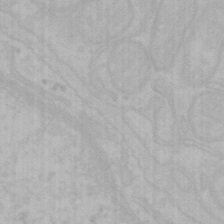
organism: Mouse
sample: Choroid plexus